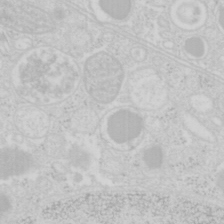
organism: Mouse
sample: Pancreas